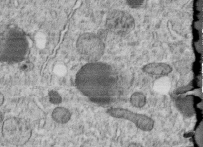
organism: C. elegans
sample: C. elegans embryo early stage